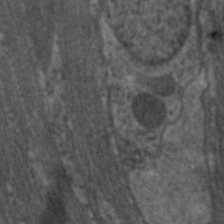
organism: C. elegans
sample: Pharynx